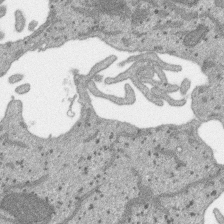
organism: Human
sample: Lung epithelial cells infected with SARS-CoV-2